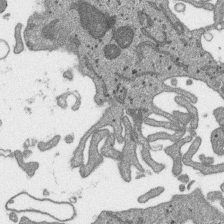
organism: Human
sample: Lung epithelial cells infected with SARS-CoV-2